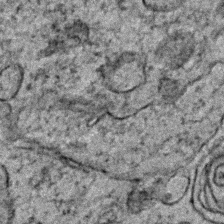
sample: Trachea